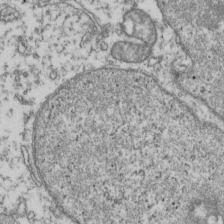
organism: Human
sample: Activated Jurkat CD4+ T cells